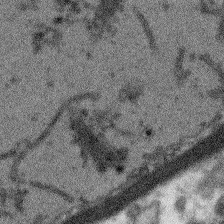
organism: Arabidopsis thaliana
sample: Root tip